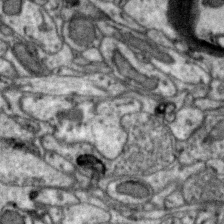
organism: Zebra finch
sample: Brain